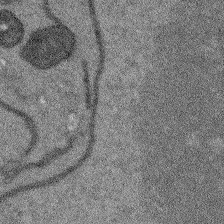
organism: Arabidopsis thaliana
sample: Root tip